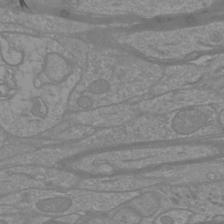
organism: Mouse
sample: Cortical neurons